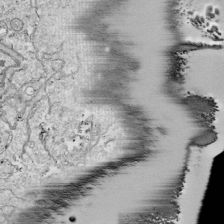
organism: Drosophila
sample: Cell division; meiosis; drosophila spermatocytes